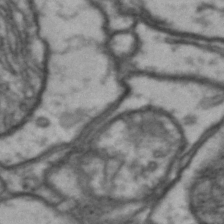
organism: Drosophila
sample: Brain